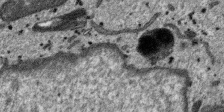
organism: Human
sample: Lung epithelial cells, uninfected (mock) control